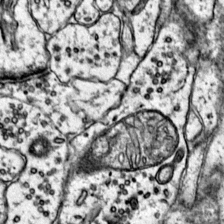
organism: Mouse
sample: Primary visual cortex